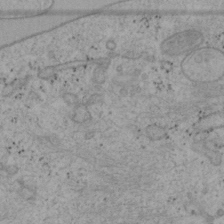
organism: Human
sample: HeLa cells